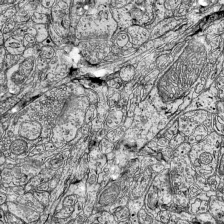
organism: Mouse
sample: Visual Cortex